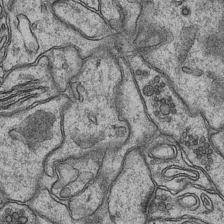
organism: Mouse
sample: CA1 Hippocampus